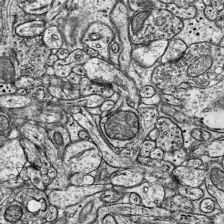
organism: Mouse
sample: Visual Cortex